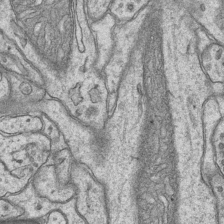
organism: Mouse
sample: CA1 Hippocampus